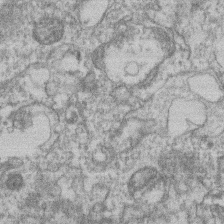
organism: Mouse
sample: T cell stromal cell synapse